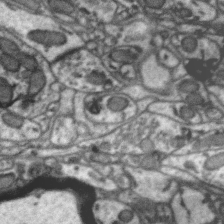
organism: Zebra finch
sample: Brain